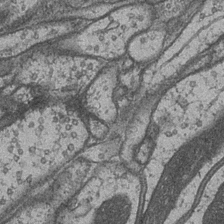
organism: Drosophila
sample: Optic medulla